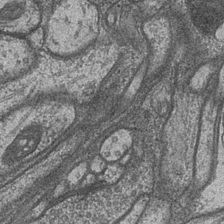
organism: Drosophila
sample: Optic medulla